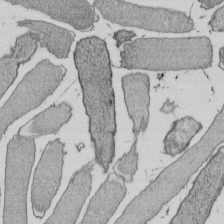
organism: E. coli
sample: Bacterial nucleoid